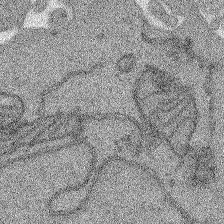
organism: Human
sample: HeLa cells